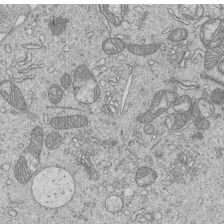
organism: Human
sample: MDA-MB-231 cells